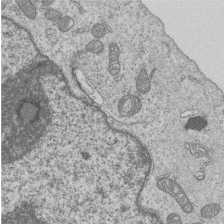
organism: Human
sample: MDA-MB-231 cells